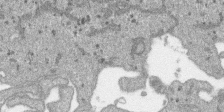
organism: Human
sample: Lung epithelial cells infected with SARS-CoV-2